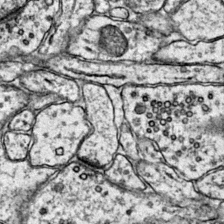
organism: Mouse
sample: Primary visual cortex